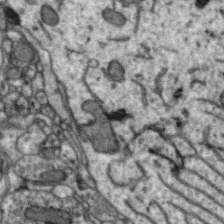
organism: Zebra finch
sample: Brain